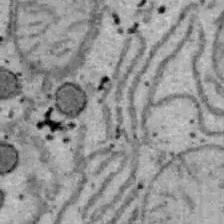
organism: Mouse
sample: Liver from an obese (ob/ob) mouse